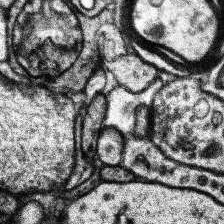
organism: Human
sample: Temporal Lobe